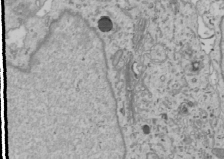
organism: Human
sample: Mitochondria in U2OS cells